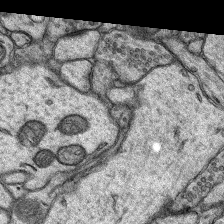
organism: Rat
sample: Hippocampus